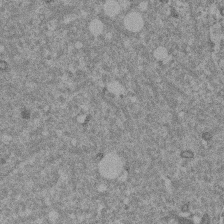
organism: Mouse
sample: Dividing mouse embryo 1 cell stage